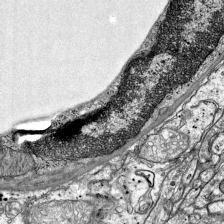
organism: Mouse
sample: Visual Cortex